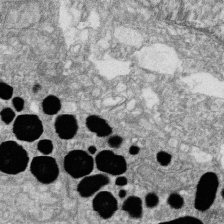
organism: Zebrafish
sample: Cilia; retinal pigment epithelium